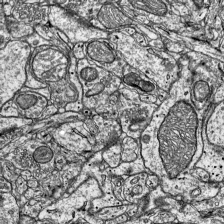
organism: Mouse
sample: Visual Cortex